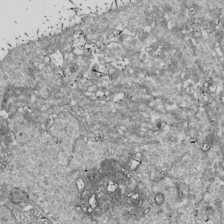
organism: Drosophila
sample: Cell division; meiosis; drosophila spermatocytes